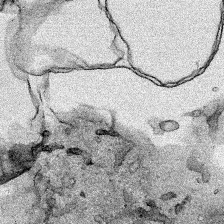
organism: Human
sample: Mitochondria in HCT116 cells